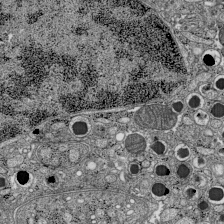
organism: C57BL Mouse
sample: Pancreatic islet